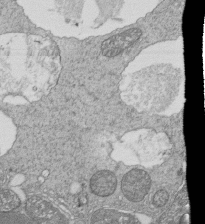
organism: Tetrahymena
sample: Cilia in tetrahymena